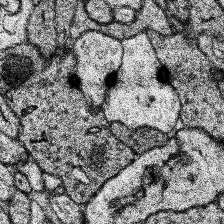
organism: Human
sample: Temporal Lobe